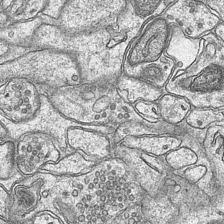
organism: Mouse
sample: CA1 Hippocampus